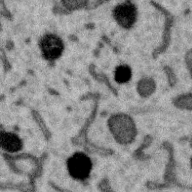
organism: Zebra finch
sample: Brain